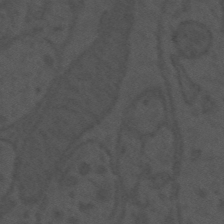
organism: Mouse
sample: Suprachiasmatic nucleus